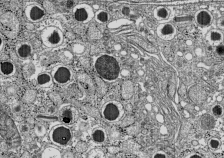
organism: C57BL Mouse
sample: Pancreatic islet